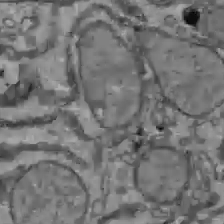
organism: C57BL Mouse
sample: Liver